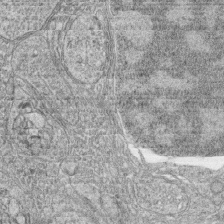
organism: Zebrafish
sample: synaptic ribbons in rod cells and cone cells